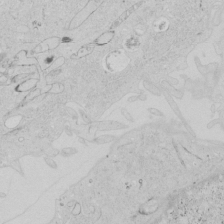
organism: Human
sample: Mitochondria in HCT116 cells